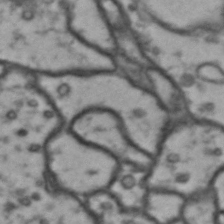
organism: Drosophila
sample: Brain